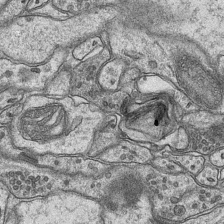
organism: Mouse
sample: CA1 Hippocampus